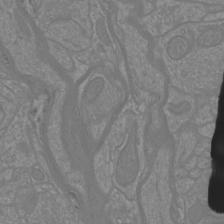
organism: Mouse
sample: Cortical neurons